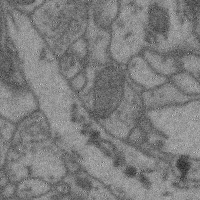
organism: Mouse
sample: Cerebral cortex